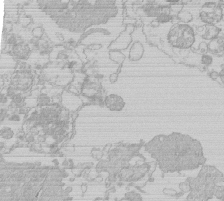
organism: Human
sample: Macrophage cells